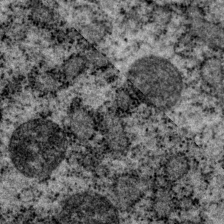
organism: P. pacificus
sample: Pharynx